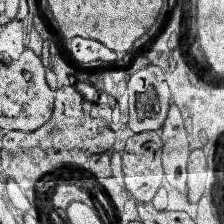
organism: Human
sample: Temporal Lobe